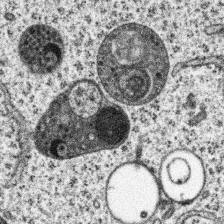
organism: Human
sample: HeLa cells